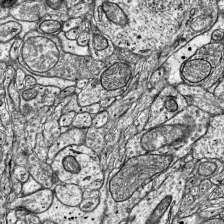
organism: Mouse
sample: Visual Cortex